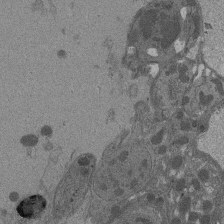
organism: Drosophila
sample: Antenna